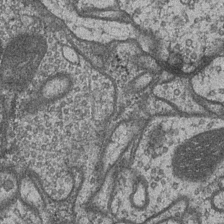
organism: Drosophila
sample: Optic medulla